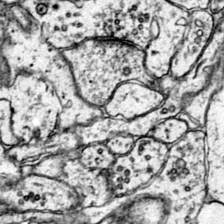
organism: Mouse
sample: Primary visual cortex